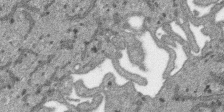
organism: Human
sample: Lung epithelial cells infected with SARS-CoV-2